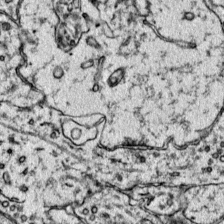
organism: Mouse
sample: Primary visual cortex